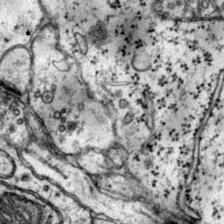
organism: Mouse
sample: Primary visual cortex